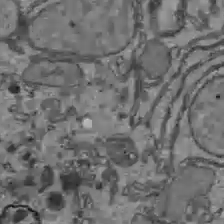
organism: C57BL Mouse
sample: Liver